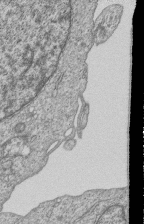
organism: Human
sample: MDA-MB-231 cells